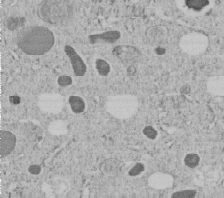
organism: C. elegans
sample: C. elegans embryo early stage